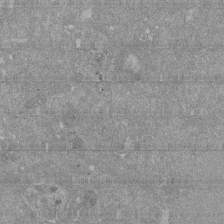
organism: Mouse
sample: ED-1 cell nuclei; centrioles